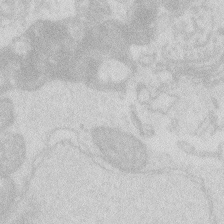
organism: Zebrafish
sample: Macrophage